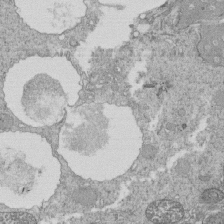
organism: Tetrahymena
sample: Cilia in tetrahymena